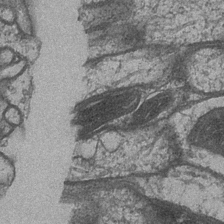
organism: Drosophila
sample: Optic medulla